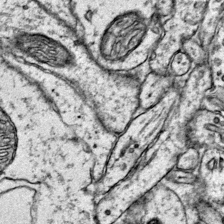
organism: Mouse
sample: Primary visual cortex